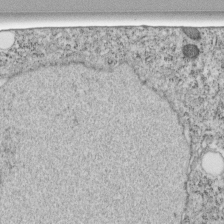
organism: C. elegans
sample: C. elegans embryo early stage